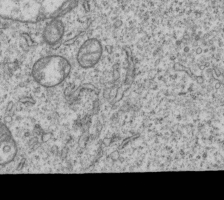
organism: Human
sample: MDA-MB-231 cells